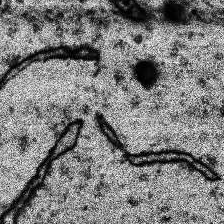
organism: Human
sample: Temporal Lobe